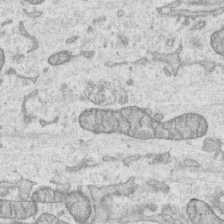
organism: Human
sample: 1205lu cells